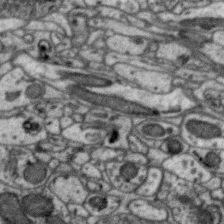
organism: Zebra finch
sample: Brain